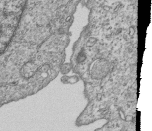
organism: Human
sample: MDA-MB-231 cells